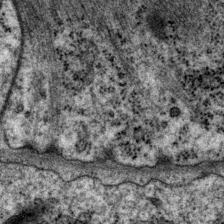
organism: P. pacificus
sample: Pharynx